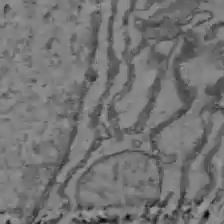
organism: C57BL Mouse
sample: Liver